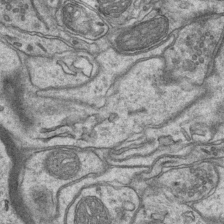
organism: Mouse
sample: CA1 Hippocampus